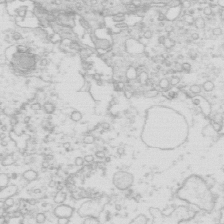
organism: Mouse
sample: Multiciliated cells